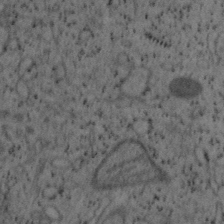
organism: Human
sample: HeLa cells